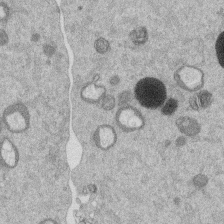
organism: Mouse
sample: Dividing mouse embryo 1 cell stage